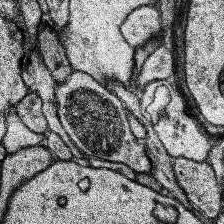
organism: Human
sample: Temporal Lobe